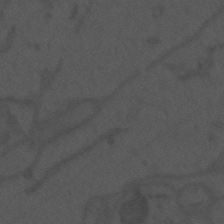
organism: Mouse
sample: Suprachiasmatic nucleus